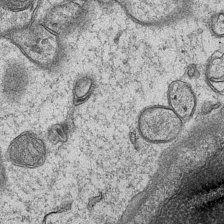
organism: Mouse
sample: CA1 Hippocampus